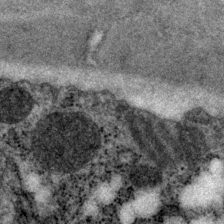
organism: P. pacificus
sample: Pharynx